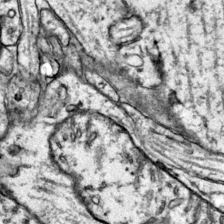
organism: Mouse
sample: Primary visual cortex